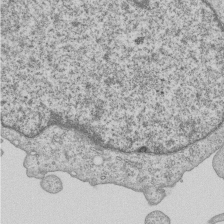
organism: Human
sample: MDA-MB-231 cells